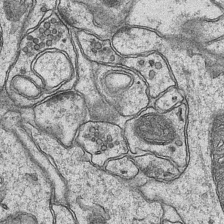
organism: Mouse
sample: CA1 Hippocampus